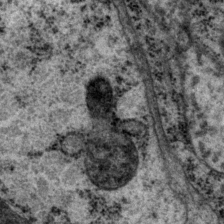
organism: P. pacificus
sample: Pharynx